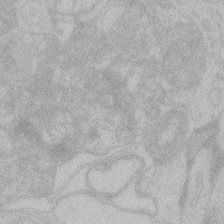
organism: Zebrafish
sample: Macrophage infected with Toxoplasma gondii